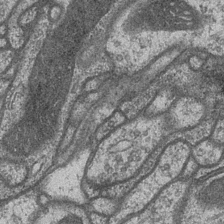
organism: Drosophila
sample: Optic medulla